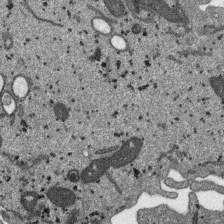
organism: Human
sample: Lung epithelial cells infected with SARS-CoV-2